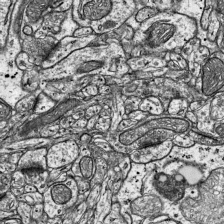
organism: Mouse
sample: Visual Cortex